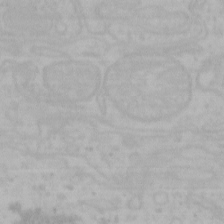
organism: Mouse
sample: Choroid plexus